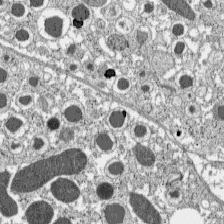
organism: C57BL Mouse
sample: Pancreatic islet